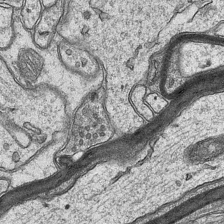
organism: Mouse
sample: CA1 Hippocampus